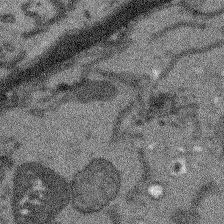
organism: Arabidopsis thaliana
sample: Root tip